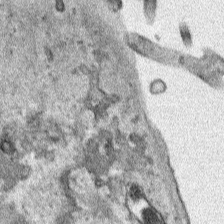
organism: Human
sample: Mitochondria in HCT116 cells